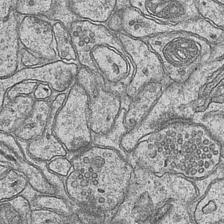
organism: Mouse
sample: CA1 Hippocampus